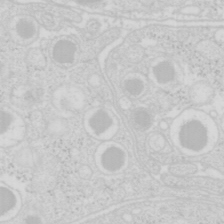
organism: Mouse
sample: Pancreas